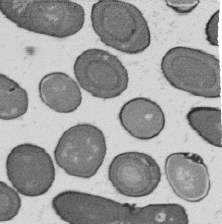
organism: B. subtilis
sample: Bacterial spore